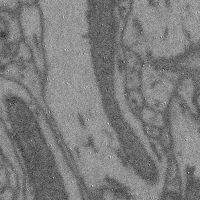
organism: Mouse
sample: Cerebral cortex